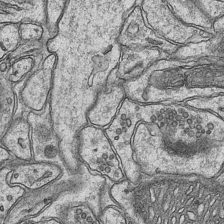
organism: Mouse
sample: CA1 Hippocampus